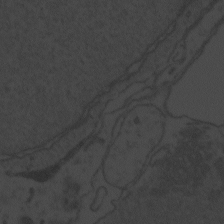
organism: Zebrafish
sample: Macrophage infected with Toxoplasma gondii